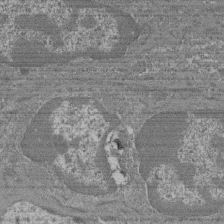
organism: Mouse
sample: Glomerulus